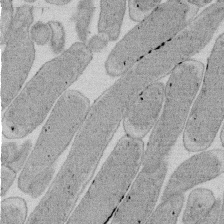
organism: E. coli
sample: Bacterial nucleoid